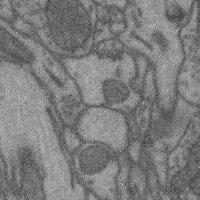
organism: Mouse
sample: Cerebral cortex